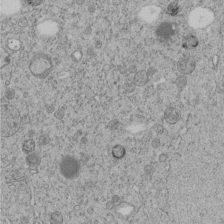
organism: C. elegans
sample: C. elegans embryo early stage